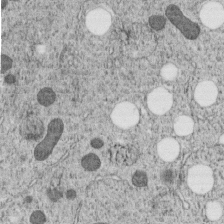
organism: C. elegans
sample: C. elegans embryo early stage